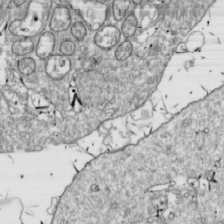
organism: Drosophila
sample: Cell division; meiosis; drosophila spermatocytes